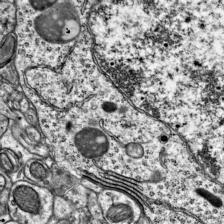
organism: Mouse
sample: Visual Cortex